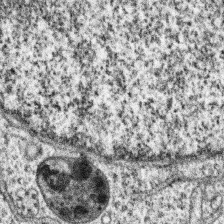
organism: Human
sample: HeLa cells